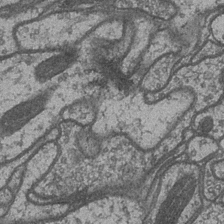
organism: Drosophila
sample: Optic medulla